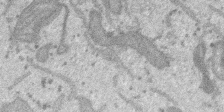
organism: Human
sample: Lung epithelial cells infected with SARS-CoV-2